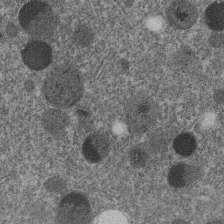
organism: C. elegans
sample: C. elegans embryo early stage